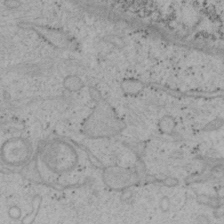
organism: Human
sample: HeLa cells